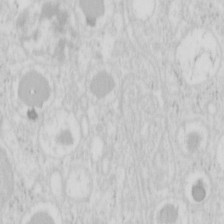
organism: Mouse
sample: Pancreas